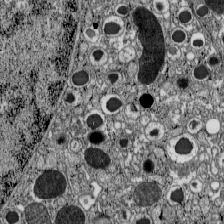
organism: C57BL Mouse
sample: Pancreatic islet